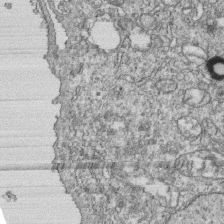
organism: Human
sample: HeLa cell HIV synapse